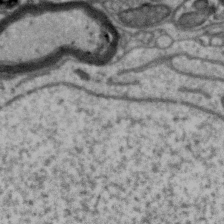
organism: Zebra finch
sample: Brain